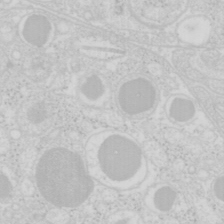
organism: Mouse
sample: Pancreas